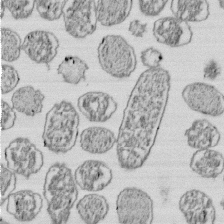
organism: E. coli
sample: Bacterial nucleoid